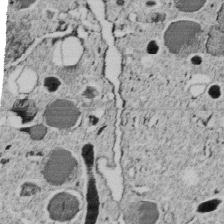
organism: C. elegans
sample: C. elegans embryo early stage